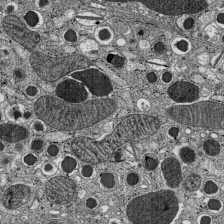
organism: C57BL Mouse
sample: Pancreatic islet